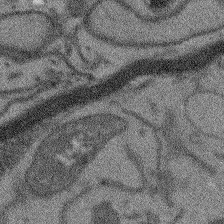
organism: Arabidopsis thaliana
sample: Root tip